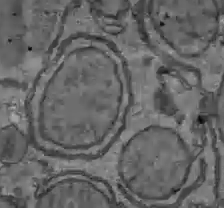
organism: C57BL Mouse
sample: Liver